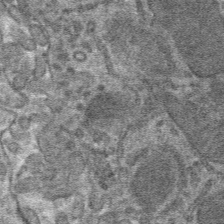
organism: Mouse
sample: Mouse hepatocytes